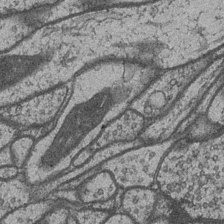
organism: Drosophila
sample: Optic medulla